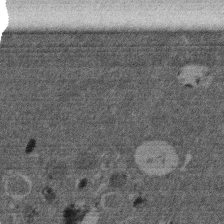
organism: Mouse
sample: Dividing mouse embryo 1 cell stage